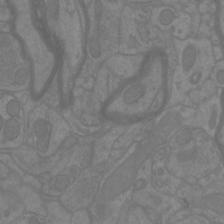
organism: Mouse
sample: Cortical neurons